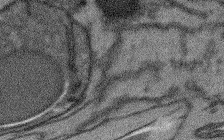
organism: Arabidopsis thaliana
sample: Root tip